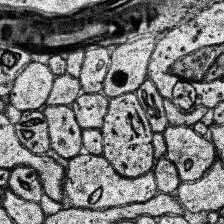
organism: Human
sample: Temporal Lobe